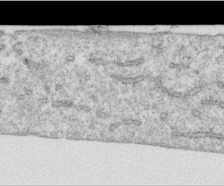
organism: Human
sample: Centriole in RPE cells